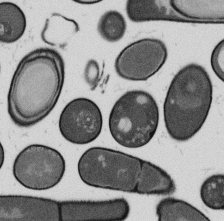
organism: B. subtilis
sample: Bacterial spore